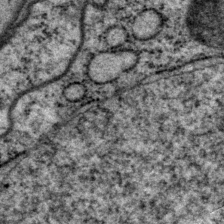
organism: P. pacificus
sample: Pharynx